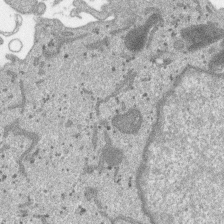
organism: Human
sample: Lung epithelial cells infected with SARS-CoV-2